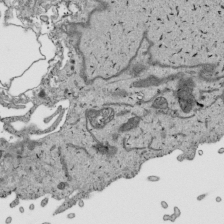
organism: Human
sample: Mitochondria in HCT116 cells